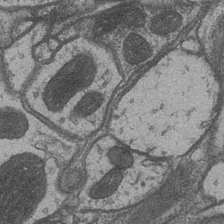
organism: Drosophila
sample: Optic medulla